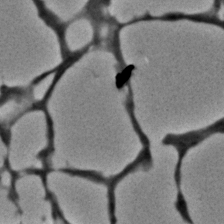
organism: C. elegans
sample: C. elegans embryo